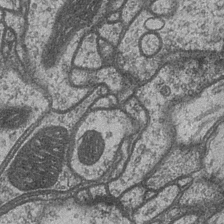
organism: Drosophila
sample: Optic medulla